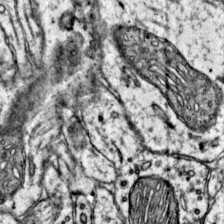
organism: Mouse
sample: Primary visual cortex